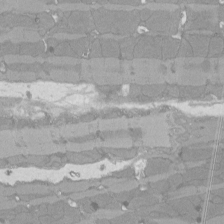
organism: Rat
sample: Left ventricle